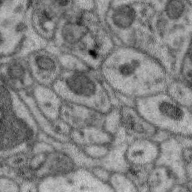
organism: Zebra finch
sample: Brain